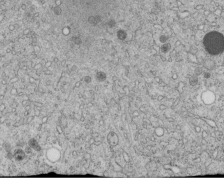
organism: C. elegans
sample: C. elegans embryo early stage